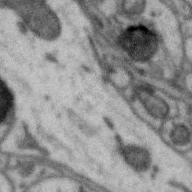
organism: Zebra finch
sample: Brain